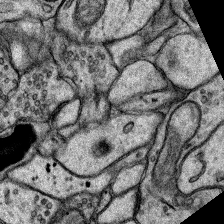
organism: Rat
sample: Hippocampus